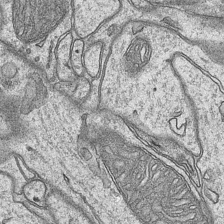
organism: Mouse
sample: CA1 Hippocampus